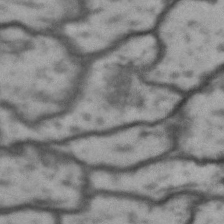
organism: Drosophila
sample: Brain